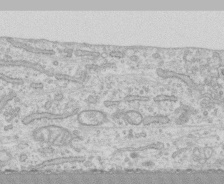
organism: Human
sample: CRL-1474